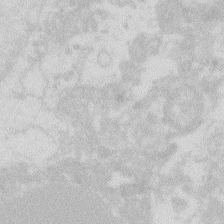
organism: Zebrafish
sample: Macrophage